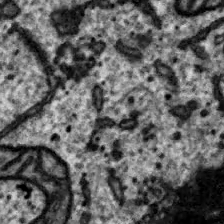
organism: Human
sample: HeLa cells